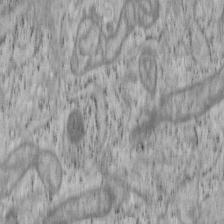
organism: Human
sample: HeLa cells